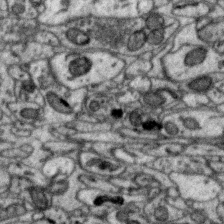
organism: Zebra finch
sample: Brain